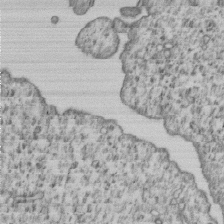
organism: Human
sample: MDA-MB-231 cells